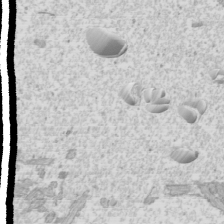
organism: Mouse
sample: Cilia; mouse epididymis